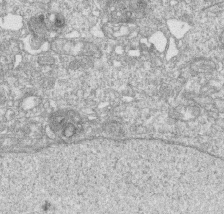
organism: Human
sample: HeLa cell HIV synapse